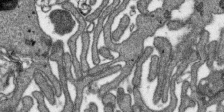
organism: Human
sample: Lung epithelial cells, uninfected (mock) control